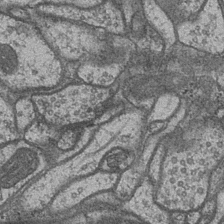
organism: Drosophila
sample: Optic medulla